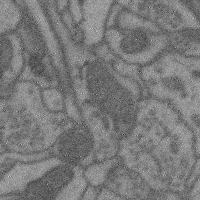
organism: Mouse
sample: Cerebral cortex